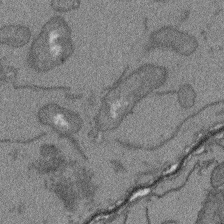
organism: Arabidopsis thaliana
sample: Root tip